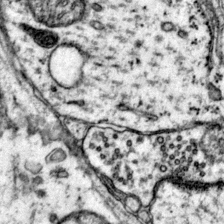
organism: Mouse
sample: Primary visual cortex